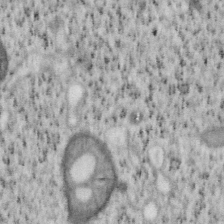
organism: Mouse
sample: OT-I killer T cells with ID8 ovarian cancer cells